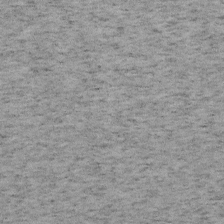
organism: Mouse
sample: OT-I killer T cells with ID8 ovarian cancer cells